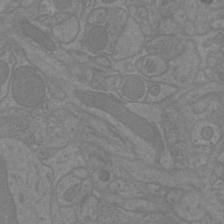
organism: Mouse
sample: Cortical neurons